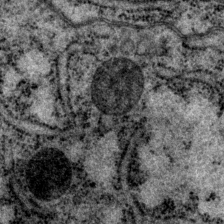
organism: P. pacificus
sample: Pharynx